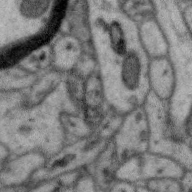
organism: Zebra finch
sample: Brain